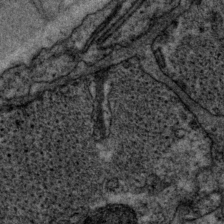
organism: P. pacificus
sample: Pharynx